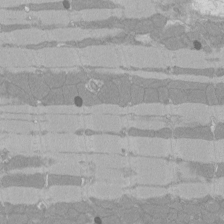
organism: Rat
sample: Left ventricle